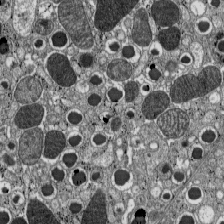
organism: C57BL Mouse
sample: Pancreatic islet